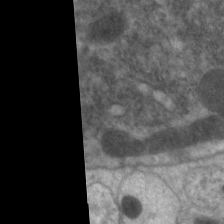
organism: C. elegans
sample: Pharynx